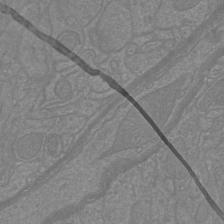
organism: Mouse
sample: Cortical neurons